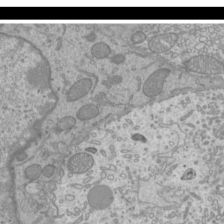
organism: Mouse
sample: Cilia; mouse epididymis